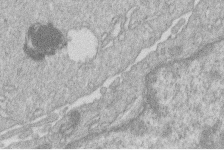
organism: Human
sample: Macrophage cells